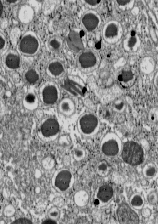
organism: C57BL Mouse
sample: Pancreatic islet